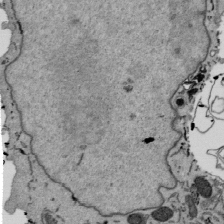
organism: Mouse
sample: ED-1 cell nuclei; centrioles